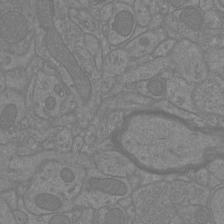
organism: Mouse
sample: Cortical neurons